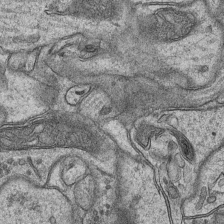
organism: Mouse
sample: CA1 Hippocampus